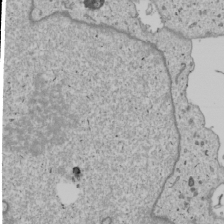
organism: Human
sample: Mitochondria in U2OS cells